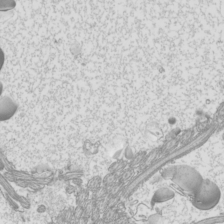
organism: Mouse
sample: Cilia; mouse epididymis